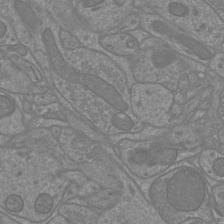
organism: Mouse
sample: Cortical neurons